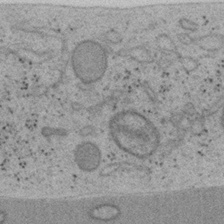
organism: Human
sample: HeLa cells